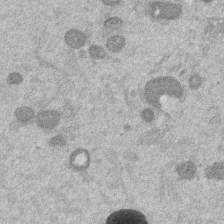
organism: Mouse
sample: Dividing mouse embryo 1 cell stage